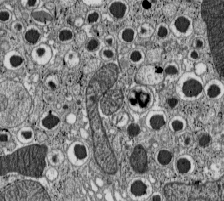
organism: C57BL Mouse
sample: Pancreatic islet